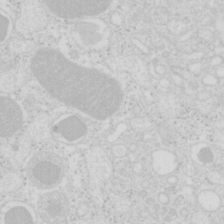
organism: Mouse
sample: Pancreas